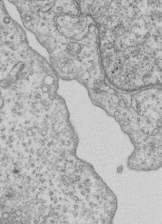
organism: Human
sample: MDA-MB-231 cells